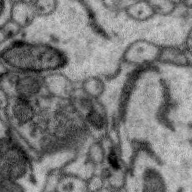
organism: Zebra finch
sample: Brain